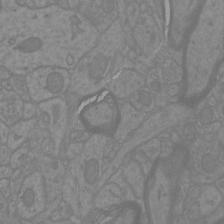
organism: Mouse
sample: Cortical neurons